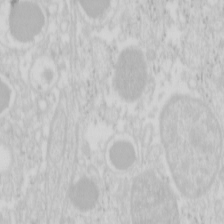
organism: Mouse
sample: Pancreas